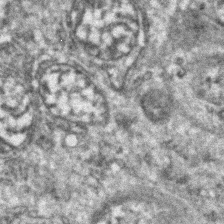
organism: Zebrafish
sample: Zebrafish embryo